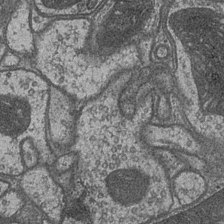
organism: Drosophila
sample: Optic medulla